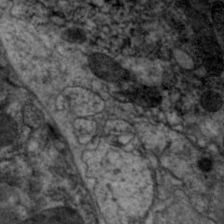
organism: C. elegans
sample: Pharynx